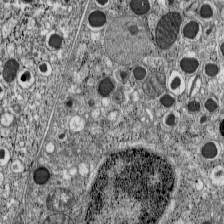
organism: C57BL Mouse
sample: Pancreatic islet